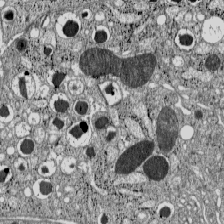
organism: C57BL Mouse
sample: Pancreatic islet